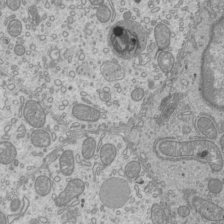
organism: Mouse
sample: Cilia; mouse epididymis